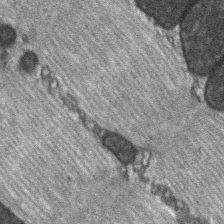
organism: C57BL Mouse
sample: Soleus